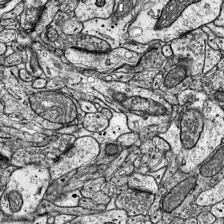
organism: Mouse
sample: Visual Cortex